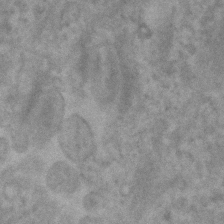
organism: Human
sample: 1205lu cells